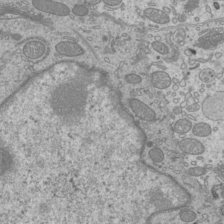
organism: Mouse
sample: Cilia; mouse epididymis